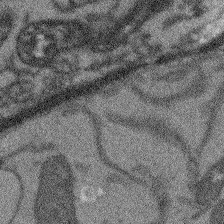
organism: Arabidopsis thaliana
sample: Root tip